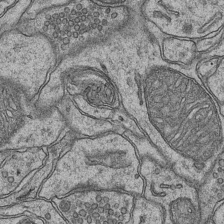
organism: Mouse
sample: CA1 Hippocampus